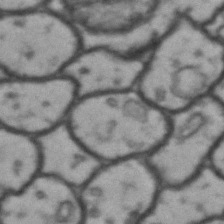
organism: Drosophila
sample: Brain